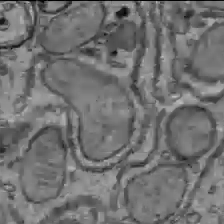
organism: C57BL Mouse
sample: Liver